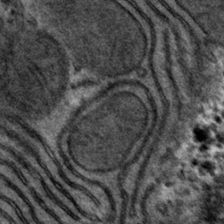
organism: Mouse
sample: Mouse hepatocytes